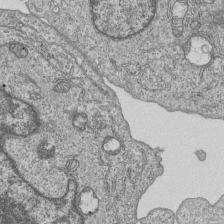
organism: Human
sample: MDA-MB-231 cells